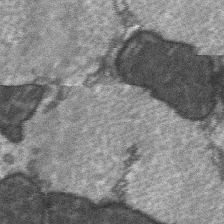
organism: C57BL Mouse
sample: Soleus